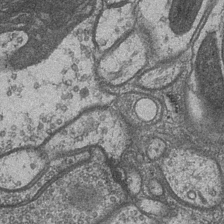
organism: Drosophila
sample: Optic medulla